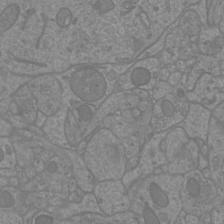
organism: Mouse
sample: Cortical neurons